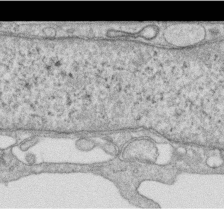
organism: Human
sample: Centriole in RPE cells